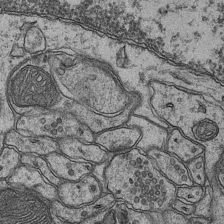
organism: Mouse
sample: CA1 Hippocampus